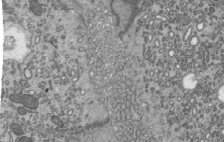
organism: Mouse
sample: Mouse epididymis efferent ductule cilia